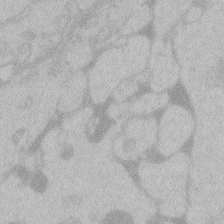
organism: Zebrafish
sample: Macrophage infected with Toxoplasma gondii